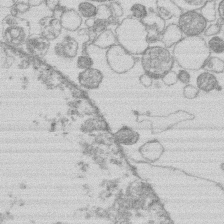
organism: Human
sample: Macrophage cells